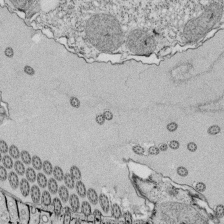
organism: Tetrahymena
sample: Cilia in tetrahymena